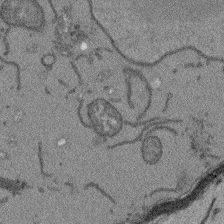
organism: Arabidopsis thaliana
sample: Root tip